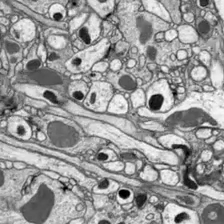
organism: Drosophila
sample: Optic lobe